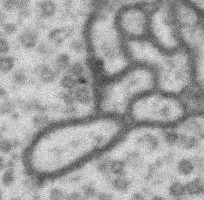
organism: Drosophila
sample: Protocerebral bridge